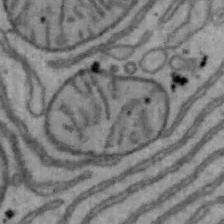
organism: Mouse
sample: Liver